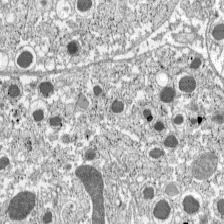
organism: C57BL Mouse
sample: Pancreatic islet